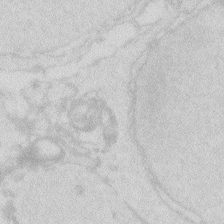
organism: Zebrafish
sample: Macrophage